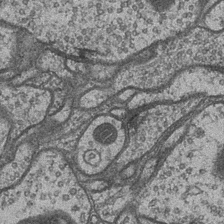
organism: Drosophila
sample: Optic medulla